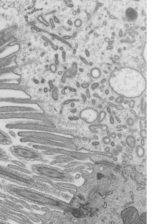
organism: Mouse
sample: Mouse epididymis efferent ductule cilia